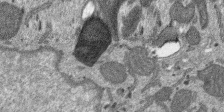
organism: Human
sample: Lung epithelial cells infected with SARS-CoV-2